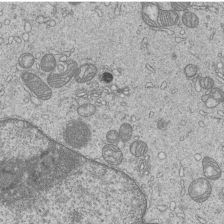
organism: Human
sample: MDA-MB-231 cells